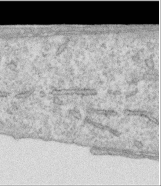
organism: Human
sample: Centriole in RPE cells